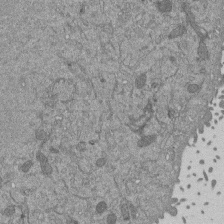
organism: Mouse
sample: ED-1 cell nuclei; centrioles